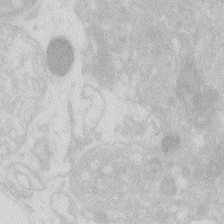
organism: Zebrafish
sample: Macrophage